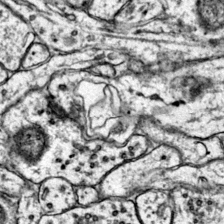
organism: Mouse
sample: Primary visual cortex